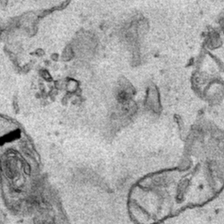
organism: Human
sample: Mitochondria in HCT116 cells